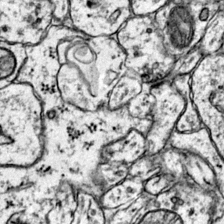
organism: Mouse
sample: Primary visual cortex